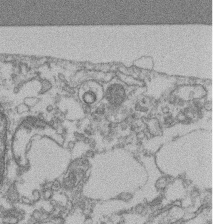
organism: Mouse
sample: T cell stromal cell synapse